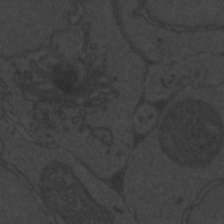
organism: Zebrafish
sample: Macrophage infected with Toxoplasma gondii